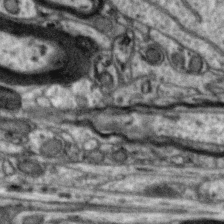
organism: Zebra finch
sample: Brain